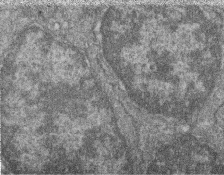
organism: Zebrafish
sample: Cilia; retinal pigment epithelium